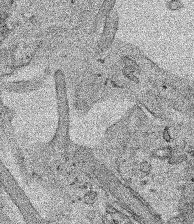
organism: Human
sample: Mitochondria in HCT116 cells